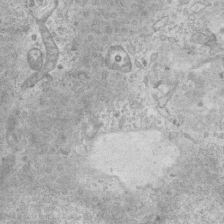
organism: Mouse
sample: Centriole in ependymal cells